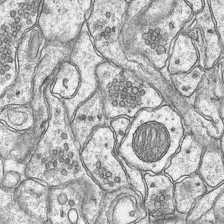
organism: Mouse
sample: CA1 Hippocampus